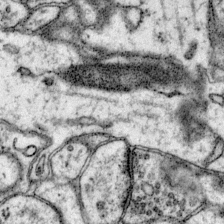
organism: Mouse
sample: Primary visual cortex